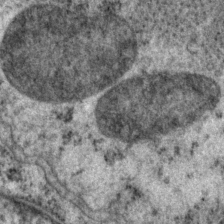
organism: P. pacificus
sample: Pharynx